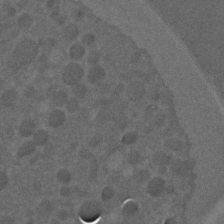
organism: C. elegans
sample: C. elegans embryo